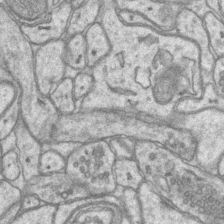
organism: Mouse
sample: CA1 Hippocampus